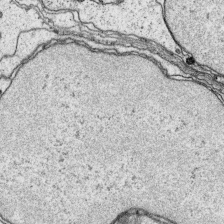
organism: Platynereis dumerilii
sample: Parapodia